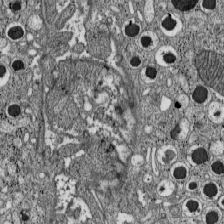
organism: C57BL Mouse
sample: Pancreatic islet